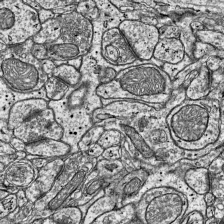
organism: Mouse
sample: Visual Cortex